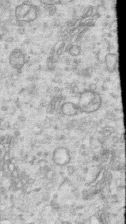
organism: Human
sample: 1205lu cells